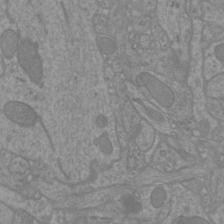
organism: Mouse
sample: Cortical neurons